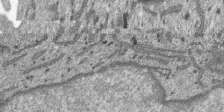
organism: Human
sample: Lung epithelial cells infected with SARS-CoV-2